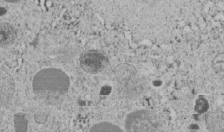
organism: C. elegans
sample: C. elegans embryo early stage